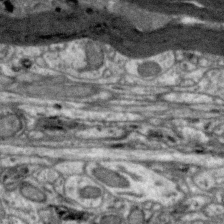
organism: Zebra finch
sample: Brain